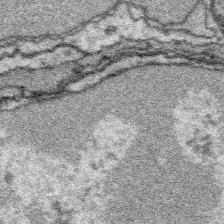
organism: Platynereis dumerilii